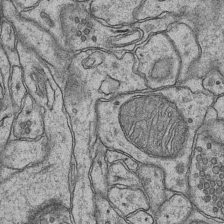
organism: Mouse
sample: CA1 Hippocampus